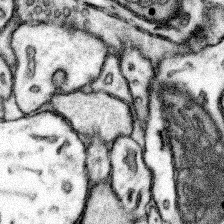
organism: Mouse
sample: Somatosensory cortex neuropil